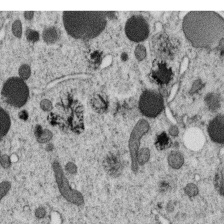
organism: C. elegans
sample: C. elegans oocyte; sperm cells